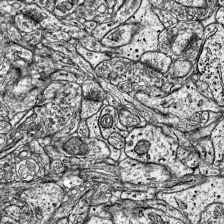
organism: Mouse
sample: Visual Cortex